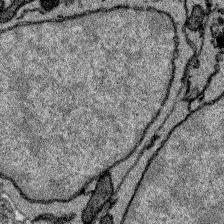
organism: Zebrafish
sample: Larval olfactory bulb